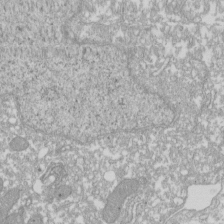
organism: Xenopus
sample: Cilia; centrioles in frog embryo cells